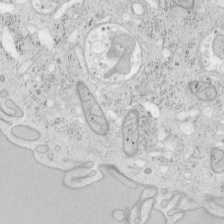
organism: Mouse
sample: OT-I killer T cells with ID8 ovarian cancer cells